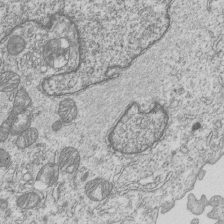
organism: Human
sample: MDA-MB-231 cells